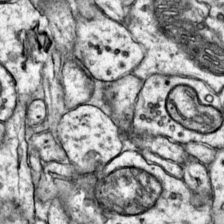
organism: Mouse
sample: Primary visual cortex